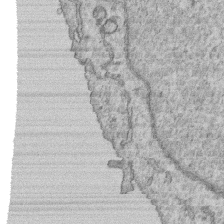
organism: Human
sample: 1205lu cells